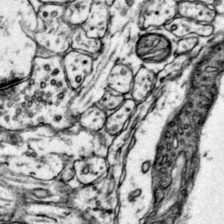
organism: Mouse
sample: Primary visual cortex